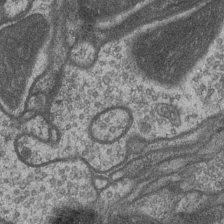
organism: Drosophila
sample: Optic medulla